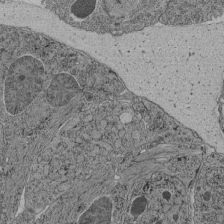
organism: C. elegans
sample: C. elegans pharynx